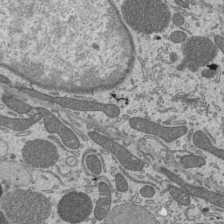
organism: Mouse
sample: Mouse epididymis efferent ductule cilia